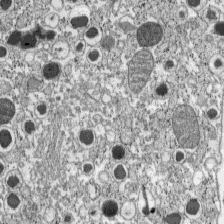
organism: C57BL Mouse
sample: Pancreatic islet